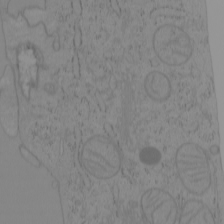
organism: Human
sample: HeLa cells